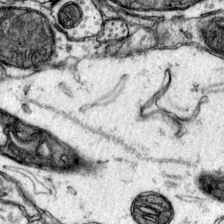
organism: Mouse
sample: Primary visual cortex